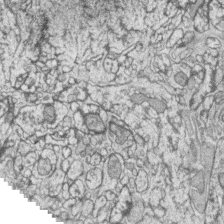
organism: Zebrafish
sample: synaptic ribbons in rod cells and cone cells